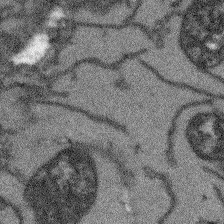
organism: Arabidopsis thaliana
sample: Root tip